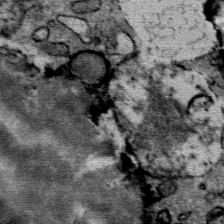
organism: Mouse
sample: Mouse Salivary gland